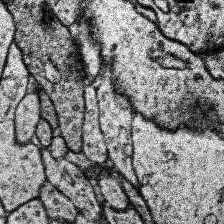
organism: Human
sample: Temporal Lobe